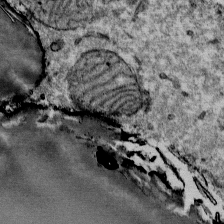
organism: Mouse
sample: Mouse Salivary gland